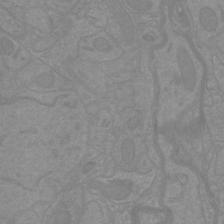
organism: Mouse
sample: Cortical neurons